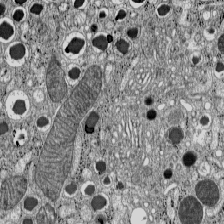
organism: C57BL Mouse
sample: Pancreatic islet